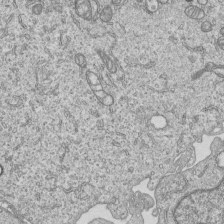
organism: Human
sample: MDA-MB-231 cells